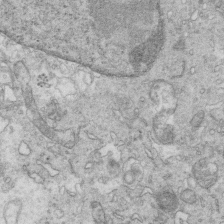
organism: Mouse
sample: Multiciliated cells